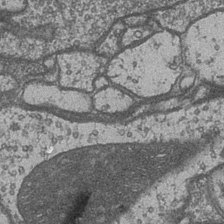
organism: Drosophila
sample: Optic medulla